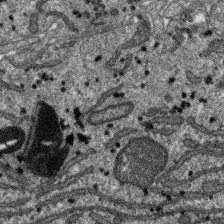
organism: Human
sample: Lung epithelial cells infected with SARS-CoV-2